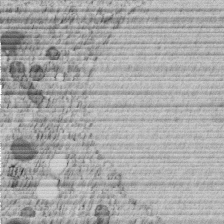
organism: C. elegans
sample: C. elegans embryo early stage